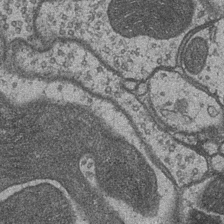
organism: Drosophila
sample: Optic medulla